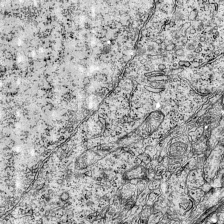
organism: Mouse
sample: Visual Cortex